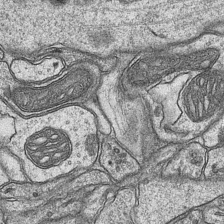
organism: Mouse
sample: CA1 Hippocampus